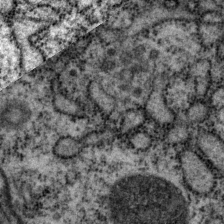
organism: P. pacificus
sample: Pharynx